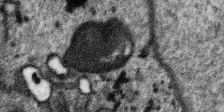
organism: Human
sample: Lung epithelial cells infected with SARS-CoV-2